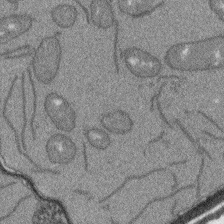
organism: Arabidopsis thaliana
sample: Root tip